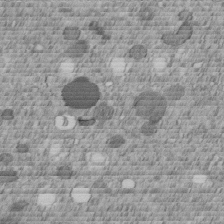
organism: C. elegans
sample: C. elegans embryo early stage